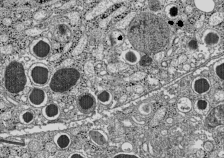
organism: C57BL Mouse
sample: Pancreatic islet